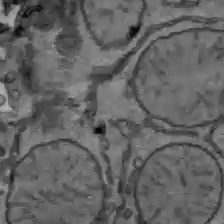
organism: C57BL Mouse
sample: Liver